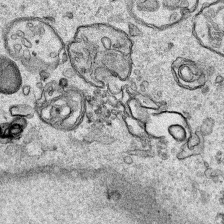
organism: Human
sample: Mitochondria in HCT116 cells